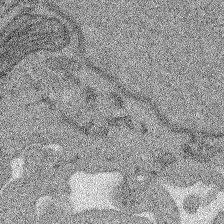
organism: Human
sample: HeLa cells